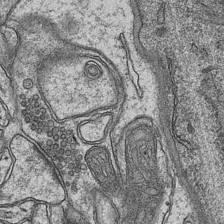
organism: Mouse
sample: CA1 Hippocampus